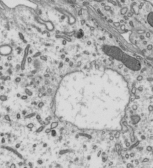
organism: Mouse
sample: Mouse epididymis efferent ductule cilia